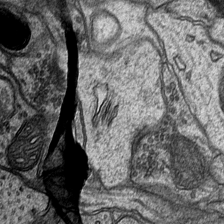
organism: Mouse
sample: CA1 Hippocampus